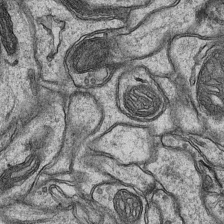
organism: Mouse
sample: CA1 Hippocampus